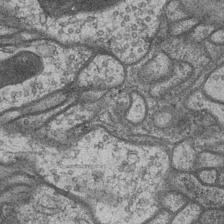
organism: Drosophila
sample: Optic medulla